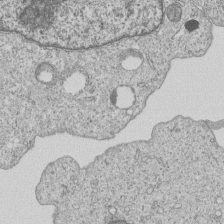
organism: Human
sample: MDA-MB-231 cells